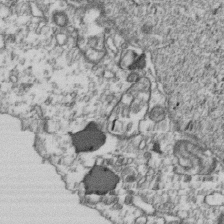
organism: Human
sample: Activated Jurkat CD4+ T cells